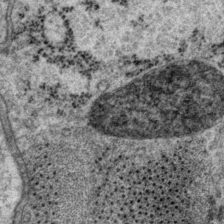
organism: P. pacificus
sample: Pharynx